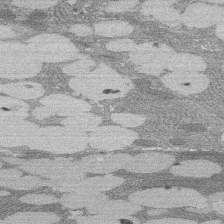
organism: Rat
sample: Salivary granule